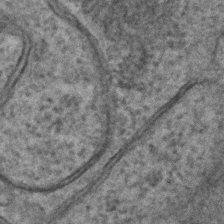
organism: C. elegans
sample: C. elegans embryo